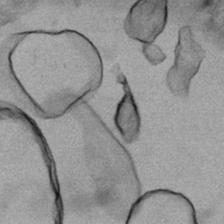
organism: Human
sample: Mitochondria in HCT116 cells